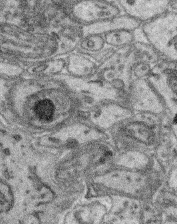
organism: Mouse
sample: Retina